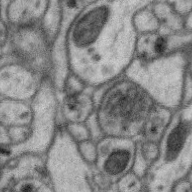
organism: Zebra finch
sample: Brain